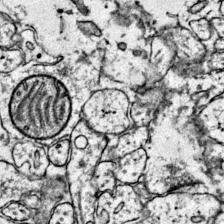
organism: Mouse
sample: Primary visual cortex